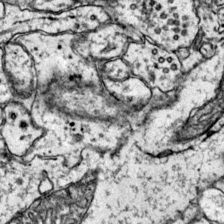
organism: Mouse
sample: Primary visual cortex